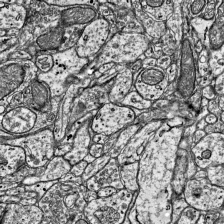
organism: Mouse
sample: Visual Cortex